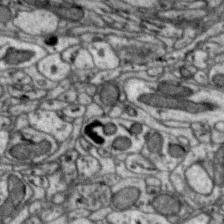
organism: Zebra finch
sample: Brain